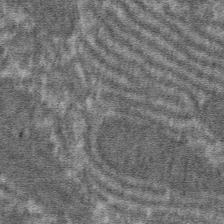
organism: Mouse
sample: Mouse hepatocytes